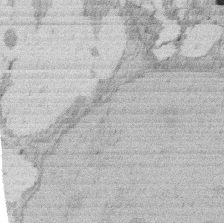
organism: Rat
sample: Salivary granule